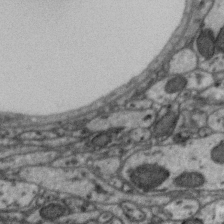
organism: Zebra finch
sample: Brain